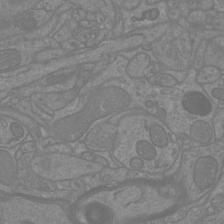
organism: Mouse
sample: Cortical neurons